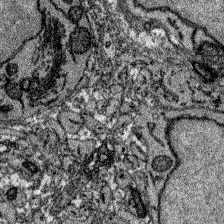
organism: Zebrafish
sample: Larval olfactory bulb